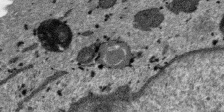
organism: Human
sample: Lung epithelial cells, uninfected (mock) control